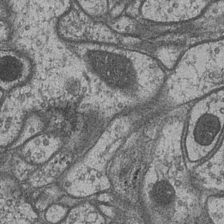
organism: Drosophila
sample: Optic medulla